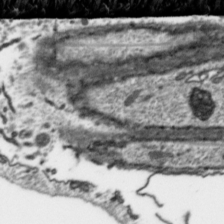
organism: Toxoplasma gondii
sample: Parasites in a vacuole inside a host cell